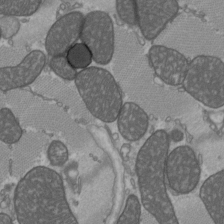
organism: C57BL Mouse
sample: Heart